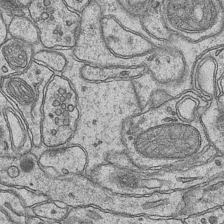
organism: Mouse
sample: CA1 Hippocampus